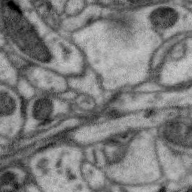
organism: Zebra finch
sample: Brain